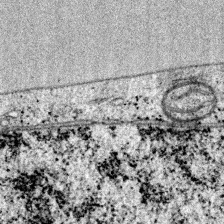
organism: Human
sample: HeLa cells